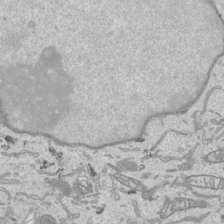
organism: Human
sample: Mitochondria in HCT116 cells